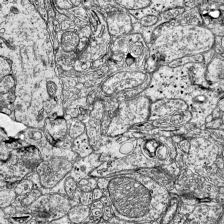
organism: Mouse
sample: Visual Cortex